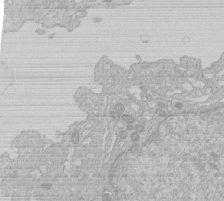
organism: Human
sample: Macrophage cells